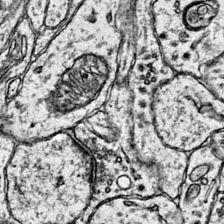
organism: Mouse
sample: Primary visual cortex